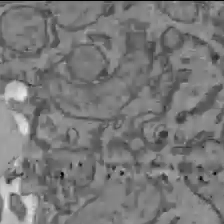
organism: C57BL Mouse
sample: Liver